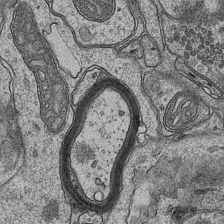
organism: Mouse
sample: CA1 Hippocampus